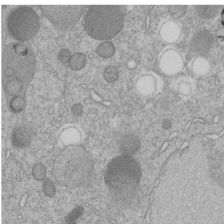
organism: C. elegans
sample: C. elegans embryo early stage